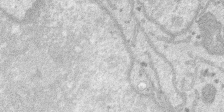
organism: Human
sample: Lung epithelial cells infected with SARS-CoV-2